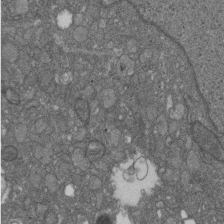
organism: Drosophila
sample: Nephrocyte